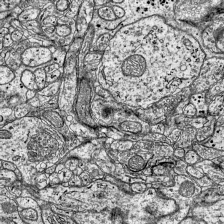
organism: Mouse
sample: Visual Cortex